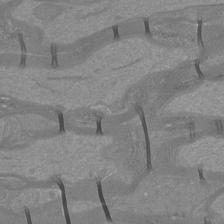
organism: Mouse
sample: Cortical neurons